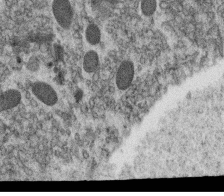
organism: C. elegans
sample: C. elegans oocyte; sperm cells